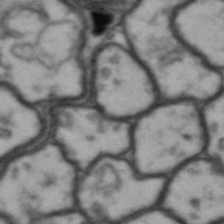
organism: Drosophila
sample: Brain